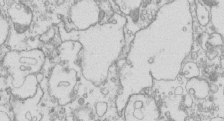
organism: Mouse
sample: Macrophages